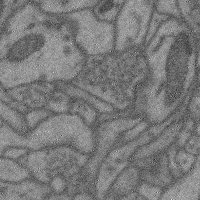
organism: Mouse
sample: Cerebral cortex